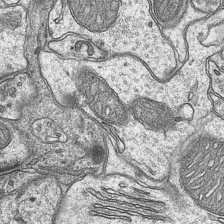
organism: Mouse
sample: CA1 Hippocampus